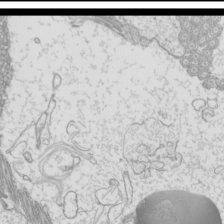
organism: Mouse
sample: Cilia; mouse epididymis